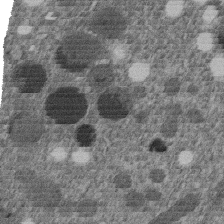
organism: C. elegans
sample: C. elegans embryo early stage